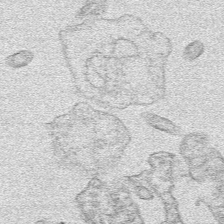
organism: Human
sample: Mitochondria in HCT116 cells